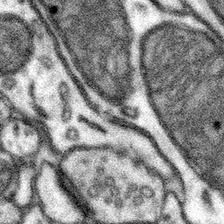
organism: Mouse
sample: Somatosensory cortex neuropil